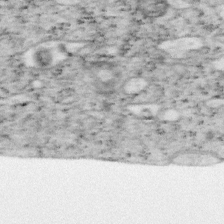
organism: Mouse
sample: OT-I killer T cells with ID8 ovarian cancer cells